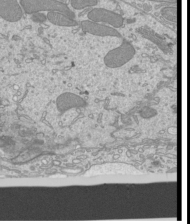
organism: Mouse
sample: Cilia; mouse epididymis